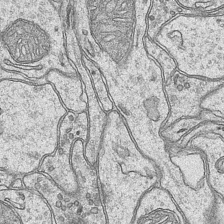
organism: Mouse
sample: CA1 Hippocampus